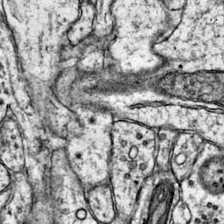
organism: Mouse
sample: Primary visual cortex